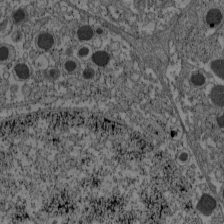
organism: C57BL Mouse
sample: Pancreatic islet